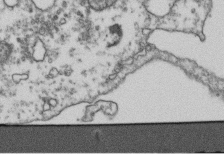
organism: Human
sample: Activated Jurkat CD4+ T cells